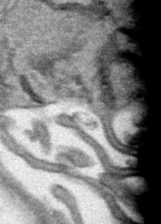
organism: Human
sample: Mitochondria in HCT116 cells